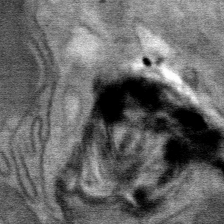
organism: Mouse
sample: Mouse Salivary gland